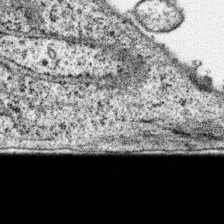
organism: Human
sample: HeLa cells